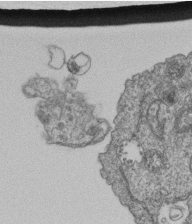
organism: Human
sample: Retinal organoid Rod and Cone cells